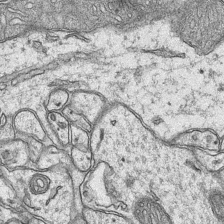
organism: Mouse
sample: CA1 Hippocampus